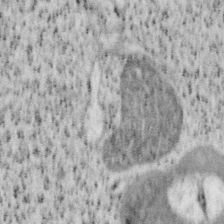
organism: Mouse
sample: OT-I killer T cells with ID8 ovarian cancer cells